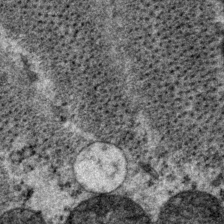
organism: P. pacificus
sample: Pharynx